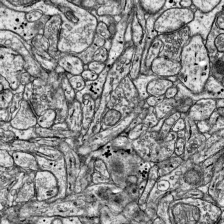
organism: Mouse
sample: Visual Cortex